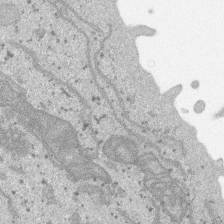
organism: Human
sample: Lung epithelial cells infected with SARS-CoV-2